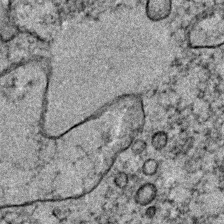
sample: Trachea